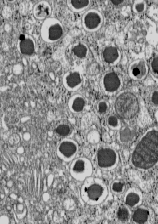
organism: C57BL Mouse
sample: Pancreatic islet